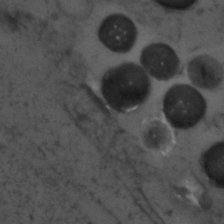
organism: Zebrafish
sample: Zebrafish embryo